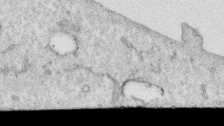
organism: Human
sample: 1205lu cells